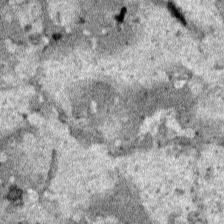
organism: Human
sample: Mitochondria in HCT116 cells